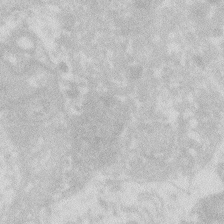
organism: Zebrafish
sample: Macrophage